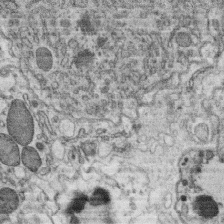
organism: C. elegans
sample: C. elegans oocyte; sperm cells